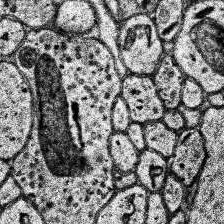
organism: Human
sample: Temporal Lobe